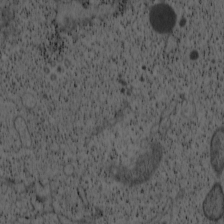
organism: African green monkey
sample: COS-7 cells